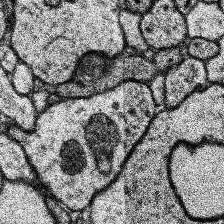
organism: Human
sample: Temporal Lobe